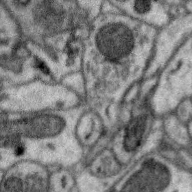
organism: Zebra finch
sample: Brain